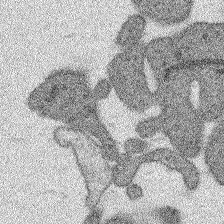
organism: Human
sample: HeLa cells